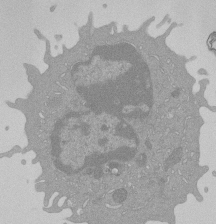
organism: Mouse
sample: Activated Pmel transgenic CD8+ T Cells